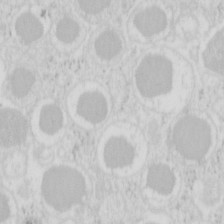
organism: Mouse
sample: Pancreas